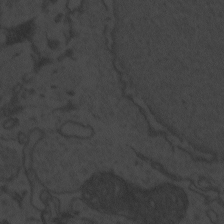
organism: Zebrafish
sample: Macrophage infected with Toxoplasma gondii